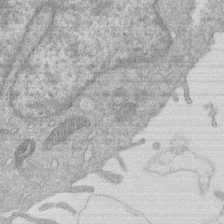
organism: Human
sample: Macrophage cells